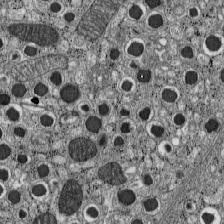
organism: C57BL Mouse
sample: Pancreatic islet